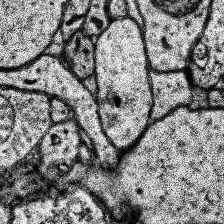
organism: Human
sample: Temporal Lobe